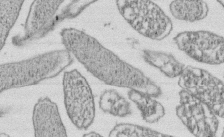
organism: E. coli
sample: Bacterial nucleoid